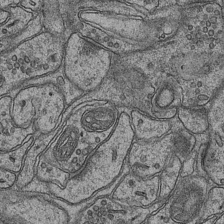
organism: Mouse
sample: CA1 Hippocampus